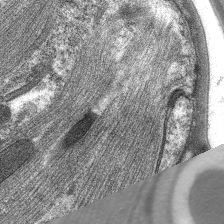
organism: C. elegans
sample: Pharynx